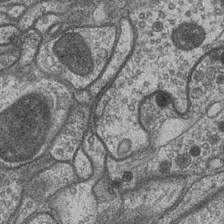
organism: Drosophila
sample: Optic medulla